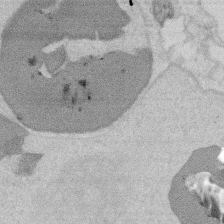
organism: Mouse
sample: T cell stromal cell synapse